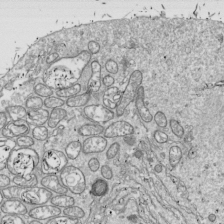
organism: Drosophila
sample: Cell division; meiosis; drosophila spermatocytes